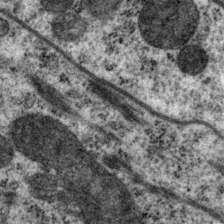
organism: P. pacificus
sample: Pharynx